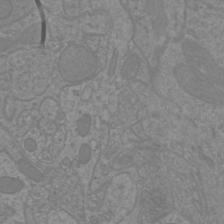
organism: Mouse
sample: Cortical neurons